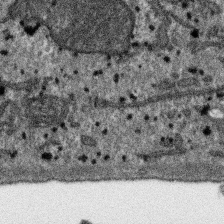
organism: Human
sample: Lung epithelial cells infected with SARS-CoV-2